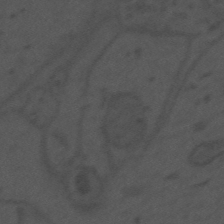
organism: Mouse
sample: Suprachiasmatic nucleus